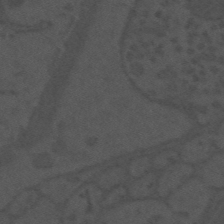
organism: Mouse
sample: Suprachiasmatic nucleus